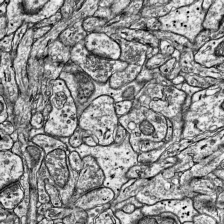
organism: Mouse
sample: Visual Cortex